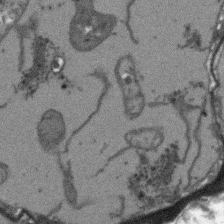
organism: Arabidopsis thaliana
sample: Root tip